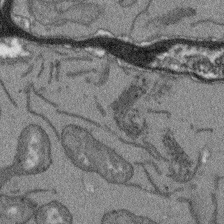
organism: Arabidopsis thaliana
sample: Root tip